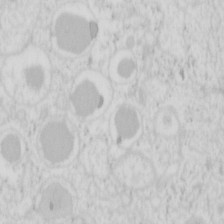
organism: Mouse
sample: Pancreas